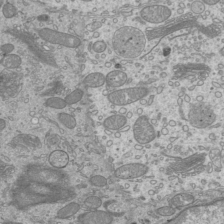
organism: Mouse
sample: Cilia; mouse epididymis